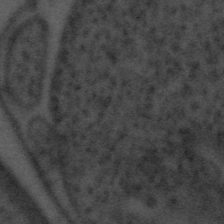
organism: Tuwongella immobilis